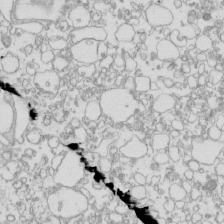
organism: Mouse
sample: Macrophages